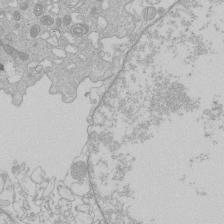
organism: Human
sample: Macrophage cells